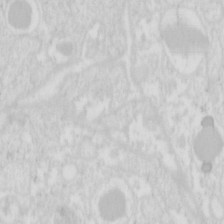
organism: Mouse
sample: Pancreas